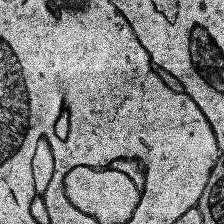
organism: Human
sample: Temporal Lobe